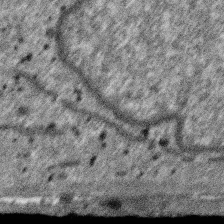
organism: Human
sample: Lung epithelial cells infected with SARS-CoV-2